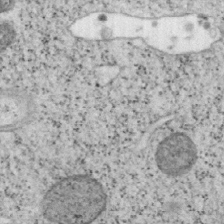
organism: Mouse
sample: OT-I killer T cells with ID8 ovarian cancer cells